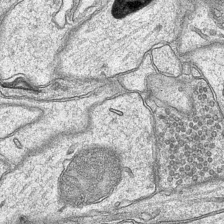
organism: Mouse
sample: CA1 Hippocampus